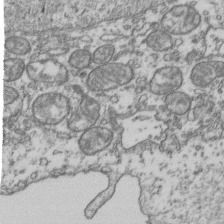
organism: Human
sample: Activated Jurkat CD4+ T cells